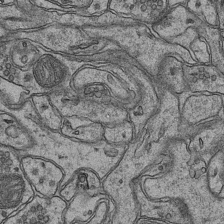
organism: Mouse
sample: CA1 Hippocampus